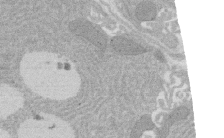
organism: Rat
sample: Salivary granule